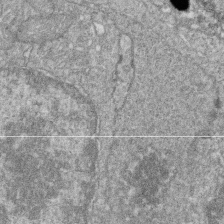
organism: Zebrafish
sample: Cilia; retinal pigment epithelium